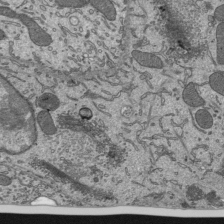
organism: Mouse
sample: Mouse epididymis efferent ductule cilia